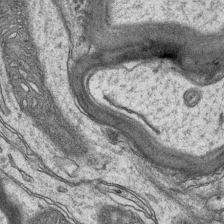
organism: Mouse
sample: CA1 Hippocampus